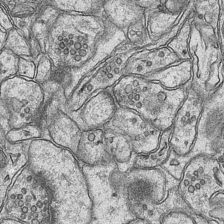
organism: Mouse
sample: CA1 Hippocampus